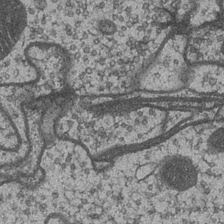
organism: Drosophila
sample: Optic medulla